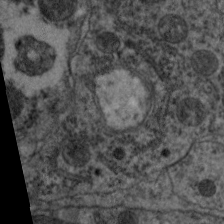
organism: C. elegans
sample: Pharynx